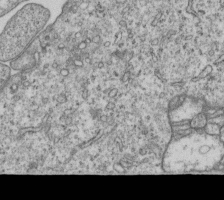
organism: Human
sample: MDA-MB-231 cells